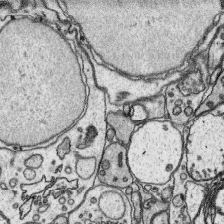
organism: Platynereis dumerilii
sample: Parapodia